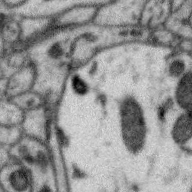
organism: Zebra finch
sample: Brain